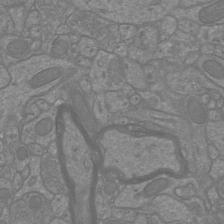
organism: Mouse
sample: Cortical neurons